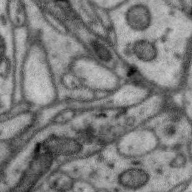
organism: Zebra finch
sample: Brain